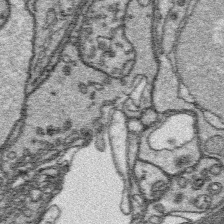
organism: Platynereis dumerilii